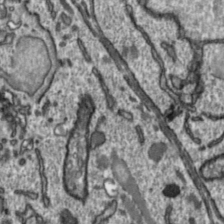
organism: Toxoplasma gondii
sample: Parasites in a vacuole inside a host cell